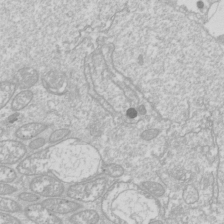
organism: Drosophila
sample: Cell division; meiosis; drosophila spermatocytes